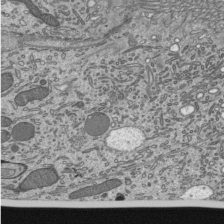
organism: Mouse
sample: Mouse epididymis efferent ductule cilia